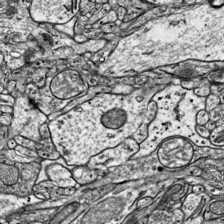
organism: Mouse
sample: Visual Cortex